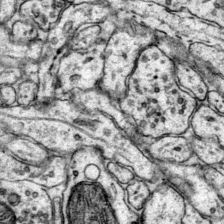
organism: Mouse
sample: Primary visual cortex